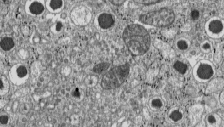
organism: C57BL Mouse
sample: Pancreatic islet